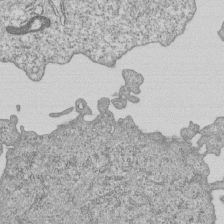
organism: Human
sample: MDA-MB-231 cells